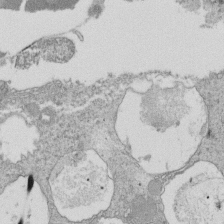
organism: Tetrahymena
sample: Cilia in tetrahymena